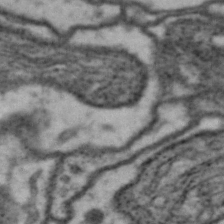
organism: Drosophila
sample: Brain